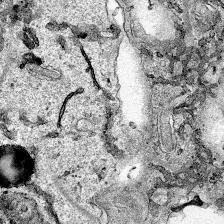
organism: Human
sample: Mitochondria in HCT116 cells